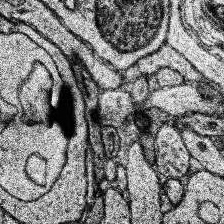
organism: Human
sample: Temporal Lobe